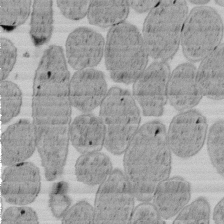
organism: E. coli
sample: Bacterial nucleoid